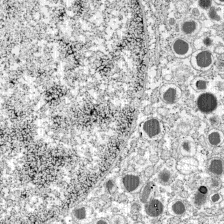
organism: C57BL Mouse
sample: Pancreatic islet